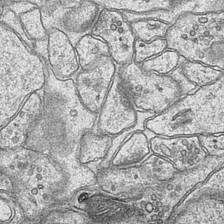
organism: Mouse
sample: CA1 Hippocampus